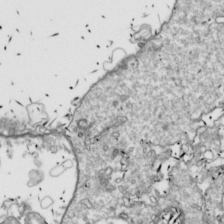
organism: Drosophila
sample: Cell division; meiosis; drosophila spermatocytes